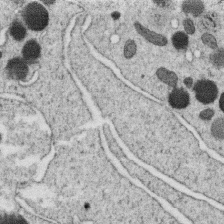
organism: C. elegans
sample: C. elegans oocyte; sperm cells